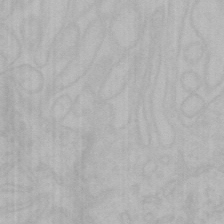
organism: Mouse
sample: Choroid plexus